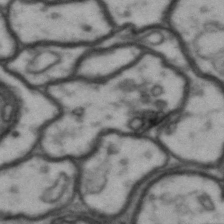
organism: Drosophila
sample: Brain